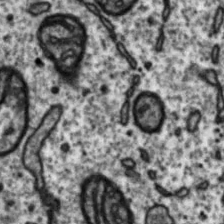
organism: Human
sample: HeLa cells